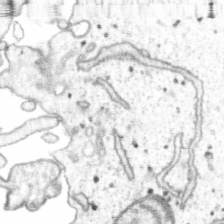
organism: Human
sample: HeLa cells